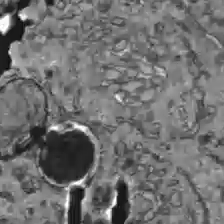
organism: C57BL Mouse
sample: Liver